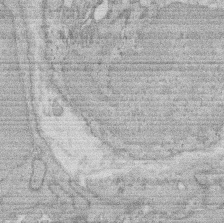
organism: Rat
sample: Salivary granule